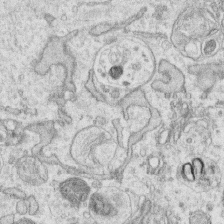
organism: Human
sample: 1205lu cells